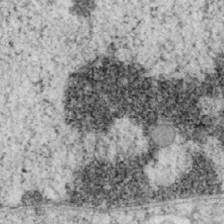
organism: Mouse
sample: OT-I killer T cells with ID8 ovarian cancer cells